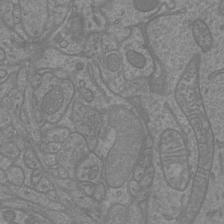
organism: Mouse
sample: Cortical neurons